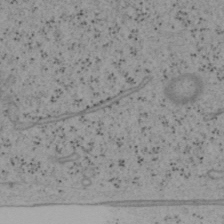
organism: Human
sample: HeLa cells